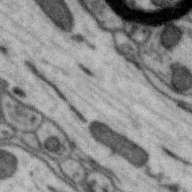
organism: Zebra finch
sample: Brain